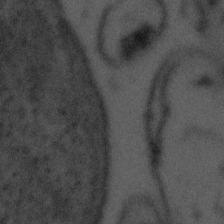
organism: Tuwongella immobilis